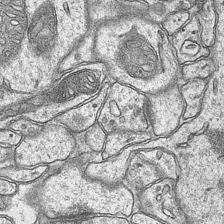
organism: Mouse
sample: CA1 Hippocampus